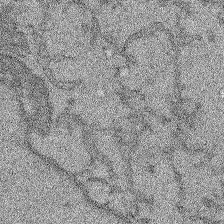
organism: Human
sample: HeLa cells